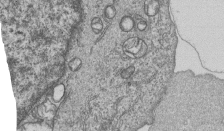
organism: Human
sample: MDA-MB-231 cells